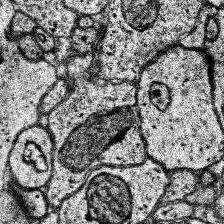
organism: Human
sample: Temporal Lobe